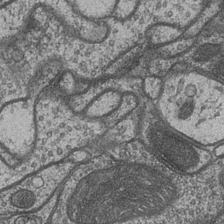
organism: Drosophila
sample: Optic medulla